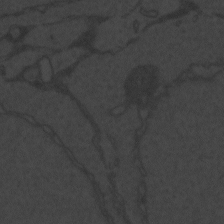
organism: Zebrafish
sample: Macrophage infected with Toxoplasma gondii